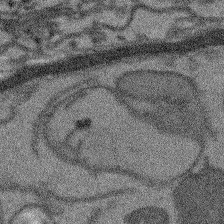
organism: Arabidopsis thaliana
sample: Root tip